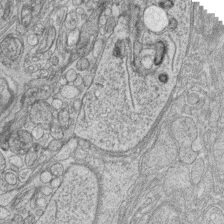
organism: Zebrafish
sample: synaptic ribbons in rod cells and cone cells